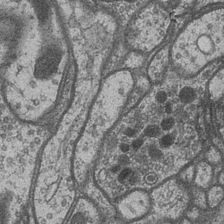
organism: Drosophila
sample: Optic medulla